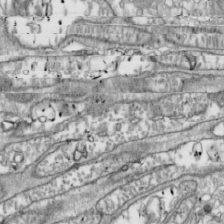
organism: Drosophila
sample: Cell division; meiosis; drosophila spermatocytes